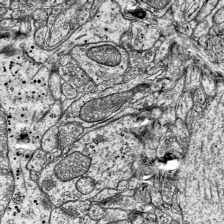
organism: Mouse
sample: Visual Cortex